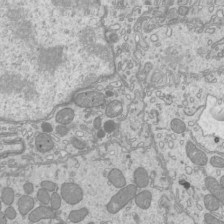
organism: Mouse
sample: Cilia; mouse epididymis